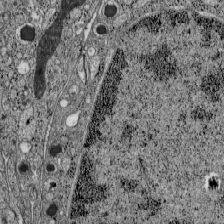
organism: C57BL Mouse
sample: Pancreatic islet